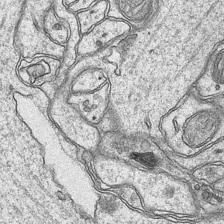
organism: Mouse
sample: CA1 Hippocampus